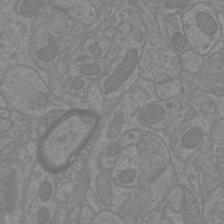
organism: Mouse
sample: Cortical neurons